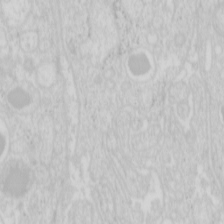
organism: Mouse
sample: Pancreas